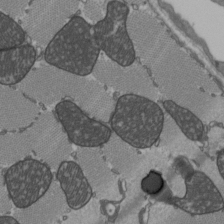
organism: C57BL Mouse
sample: Heart